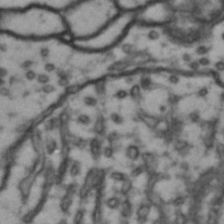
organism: Drosophila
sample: Brain